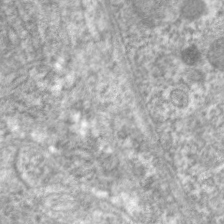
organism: C. elegans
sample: Pharynx